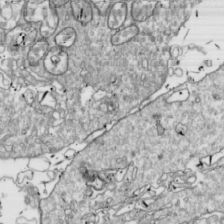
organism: Drosophila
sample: Cell division; meiosis; drosophila spermatocytes